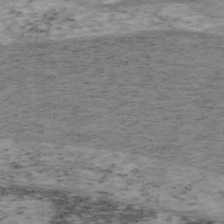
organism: Mouse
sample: OT-I killer T cells with ID8 ovarian cancer cells